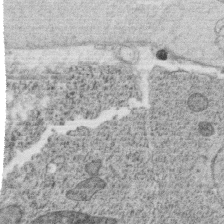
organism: C. elegans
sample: C. elegans oocyte; sperm cells